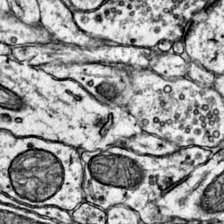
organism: Mouse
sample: Primary visual cortex